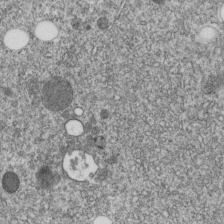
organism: C. elegans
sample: C. elegans embryo early stage